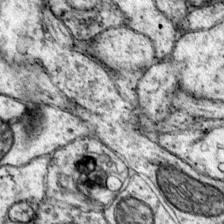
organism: Mouse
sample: Primary visual cortex